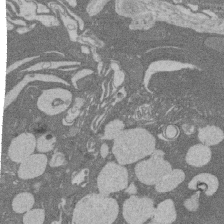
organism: Rat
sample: Salivary granule